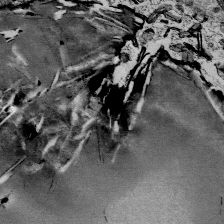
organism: Mouse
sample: Mouse Salivary gland